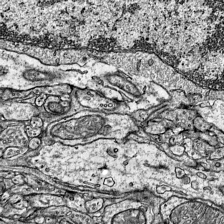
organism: Mouse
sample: Visual Cortex